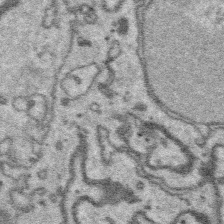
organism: Platynereis dumerilii